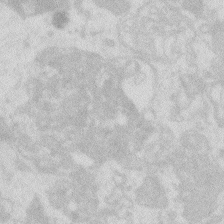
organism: Zebrafish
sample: Macrophage